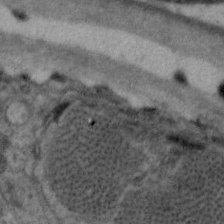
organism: C. elegans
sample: Pharynx